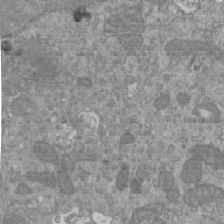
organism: Mouse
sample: ED-1 cell nuclei; centrioles